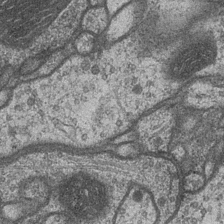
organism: Drosophila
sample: Optic medulla